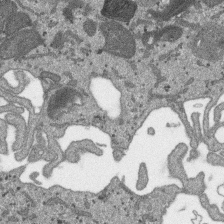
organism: Human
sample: Lung epithelial cells infected with SARS-CoV-2